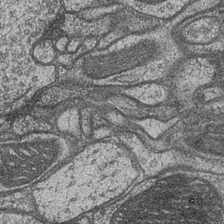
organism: Drosophila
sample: Optic medulla